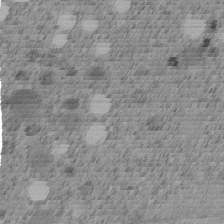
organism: C. elegans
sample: C. elegans embryo early stage